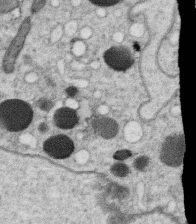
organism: C. elegans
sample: C. elegans oocyte; sperm cells